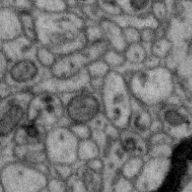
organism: Zebra finch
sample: Brain